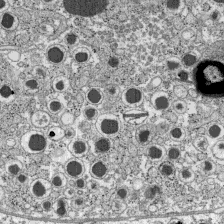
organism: C57BL Mouse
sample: Pancreatic islet